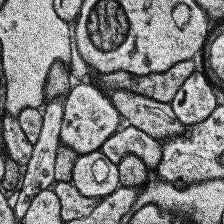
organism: Human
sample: Temporal Lobe